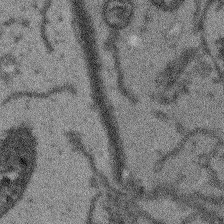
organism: Arabidopsis thaliana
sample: Root tip